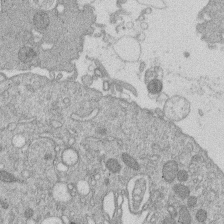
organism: Human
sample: Macrophage cells